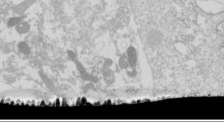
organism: Drosophila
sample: Cell division; meiosis; drosophila spermatocytes